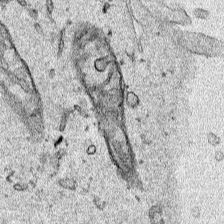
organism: Human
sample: Mitochondria in HCT116 cells